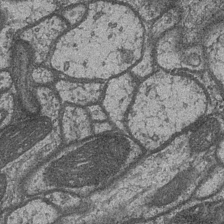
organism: Drosophila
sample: Optic medulla